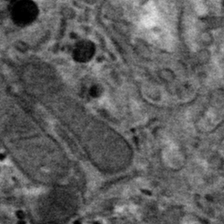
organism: Mouse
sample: Mouse hepatocytes